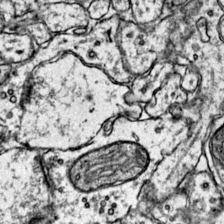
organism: Mouse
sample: Primary visual cortex